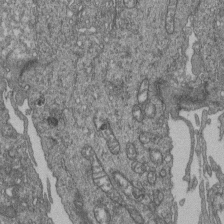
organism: Human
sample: Retinal organoid Rod and Cone cells